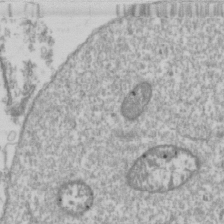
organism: Drosophila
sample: Cell division; meiosis; drosophila spermatocytes